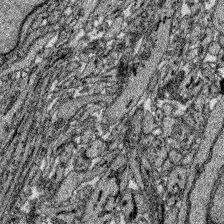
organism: Zebrafish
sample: Larval olfactory bulb